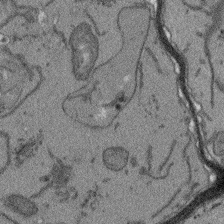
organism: Arabidopsis thaliana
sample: Root tip